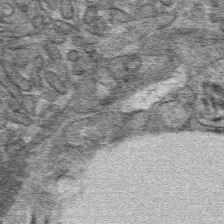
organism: Mouse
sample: Mouse hepatocytes